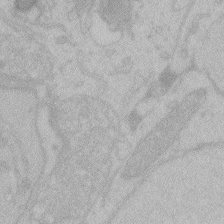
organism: Zebrafish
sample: Macrophage infected with Toxoplasma gondii